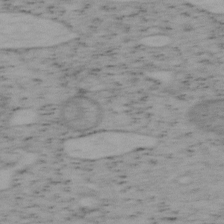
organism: Mouse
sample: OT-I killer T cells with ID8 ovarian cancer cells